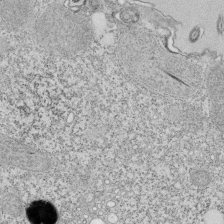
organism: Tetrahymena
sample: Cilia in tetrahymena